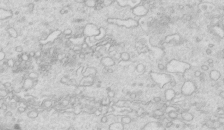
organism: Mouse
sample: Multiciliated cells